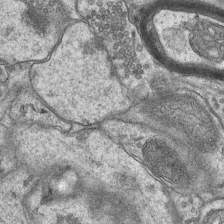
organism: Mouse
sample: CA1 Hippocampus